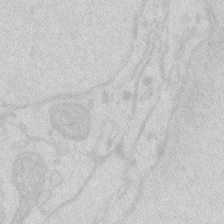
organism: Zebrafish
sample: Macrophage